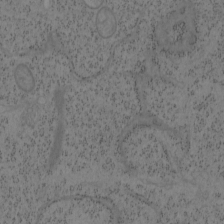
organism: Mouse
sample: OT-I killer T cells with ID8 ovarian cancer cells